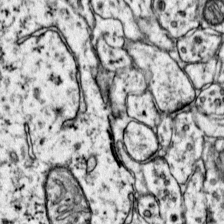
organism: Mouse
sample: Primary visual cortex